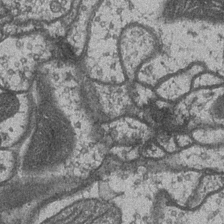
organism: Drosophila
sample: Optic medulla